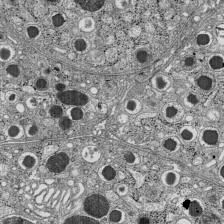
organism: C57BL Mouse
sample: Pancreatic islet